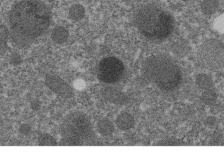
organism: C. elegans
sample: C. elegans embryo early stage